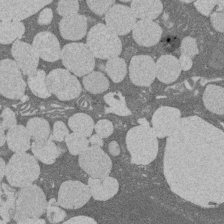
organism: Rat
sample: Salivary granule